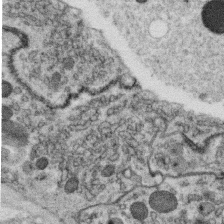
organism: C. elegans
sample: C. elegans oocyte; sperm cells